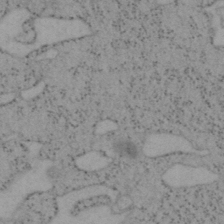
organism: Mouse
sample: OT-I killer T cells with ID8 ovarian cancer cells